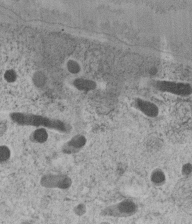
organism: C. elegans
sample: C. elegans embryo early stage